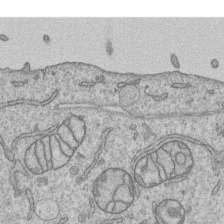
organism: Human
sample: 1205lu cells